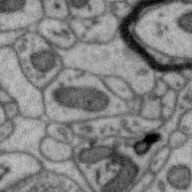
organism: Zebra finch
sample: Brain